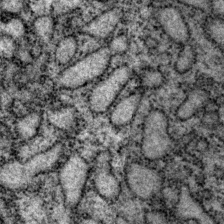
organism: P. pacificus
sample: Pharynx